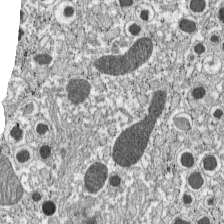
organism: C57BL Mouse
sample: Pancreatic islet